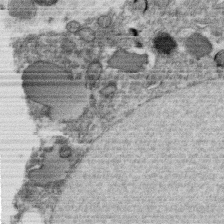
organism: C. elegans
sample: C. elegans oocyte; sperm cells